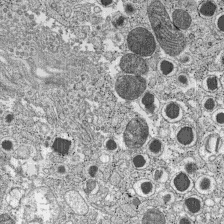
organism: C57BL Mouse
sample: Pancreatic islet